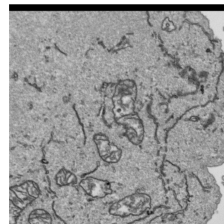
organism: Human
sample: Mitochondria in HCT116 cells